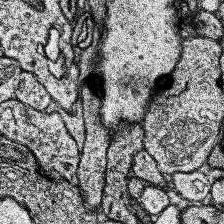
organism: Human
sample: Temporal Lobe